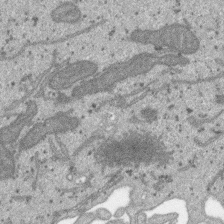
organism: Human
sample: Lung epithelial cells infected with SARS-CoV-2